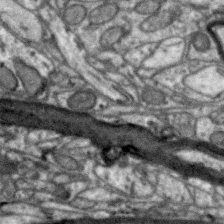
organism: Zebra finch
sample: Brain